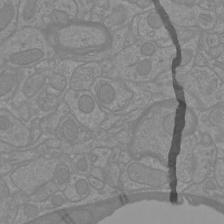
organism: Mouse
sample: Cortical neurons